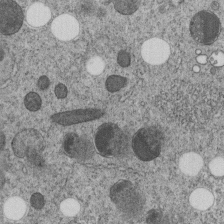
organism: C. elegans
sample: C. elegans embryo early stage